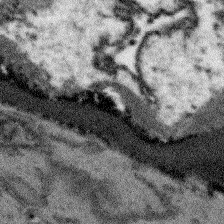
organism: Arabidopsis thaliana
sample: Root tip